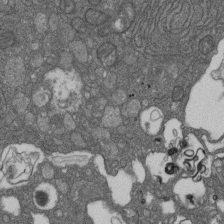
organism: Drosophila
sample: Nephrocyte